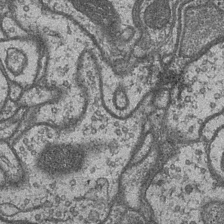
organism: Drosophila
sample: Optic medulla